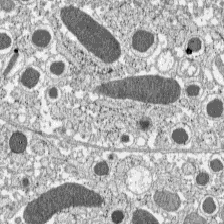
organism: C57BL Mouse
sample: Pancreatic islet